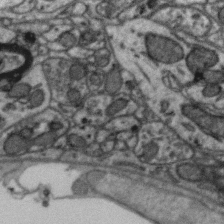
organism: Zebra finch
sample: Brain